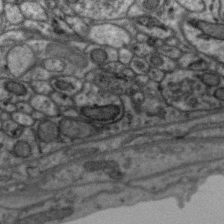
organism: Zebra finch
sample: Brain